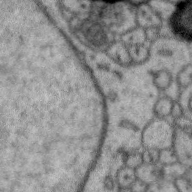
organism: Zebra finch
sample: Brain